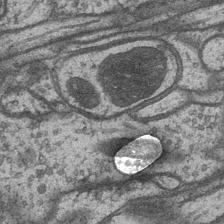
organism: Drosophila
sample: Optic medulla